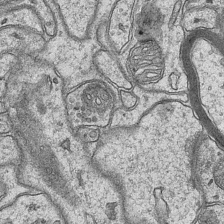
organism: Mouse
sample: CA1 Hippocampus